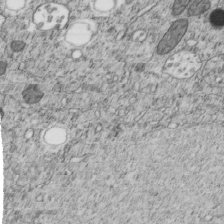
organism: C. elegans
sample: C. elegans embryo early stage